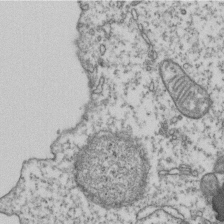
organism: Human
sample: Activated Jurkat CD4+ T cells